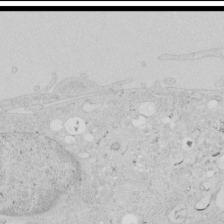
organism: Human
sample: Mitochondria in HCT116 cells